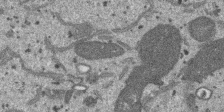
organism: Human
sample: Lung epithelial cells infected with SARS-CoV-2